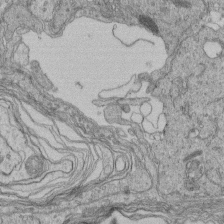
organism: Human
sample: Retinal organoid Rod and Cone cells